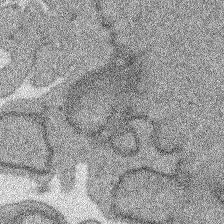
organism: Human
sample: HeLa cells